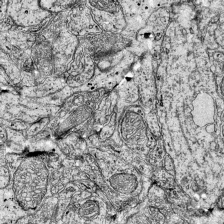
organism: Mouse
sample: Visual Cortex